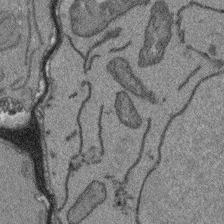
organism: Arabidopsis thaliana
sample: Root tip